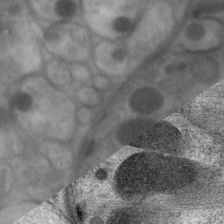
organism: C. elegans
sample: Pharynx